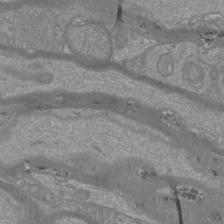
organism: Mouse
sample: Cortical neurons